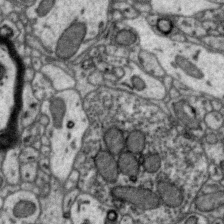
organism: Zebra finch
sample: Brain